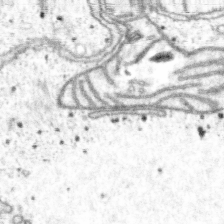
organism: Human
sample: HeLa cells